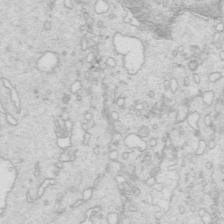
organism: Mouse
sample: Multiciliated cells